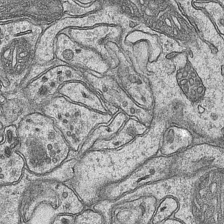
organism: Mouse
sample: CA1 Hippocampus